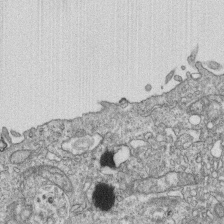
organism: Human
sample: HeLa cell HIV synapse